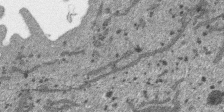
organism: Human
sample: Lung epithelial cells infected with SARS-CoV-2